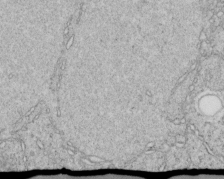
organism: C. elegans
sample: C. elegans embryo early stage